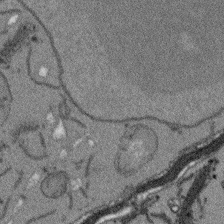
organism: Arabidopsis thaliana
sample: Root tip